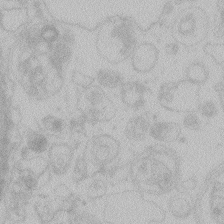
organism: Zebrafish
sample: Macrophage infected with Toxoplasma gondii